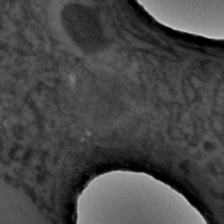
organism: C. elegans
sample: C. elegans embryo